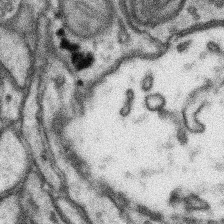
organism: Mouse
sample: Somatosensory cortex neuropil